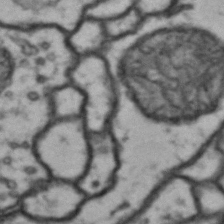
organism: Drosophila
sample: Brain